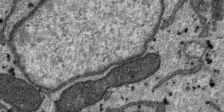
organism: Human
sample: Lung epithelial cells, uninfected (mock) control